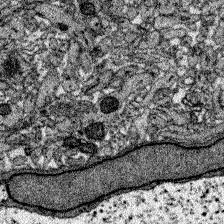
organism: Zebrafish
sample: Larval olfactory bulb